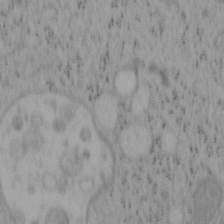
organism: Mouse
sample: OT-I killer T cells with ID8 ovarian cancer cells